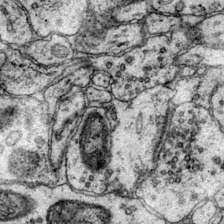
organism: Mouse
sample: Primary visual cortex